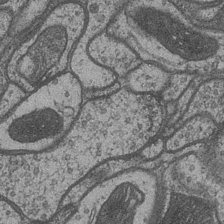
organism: Drosophila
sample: Optic medulla